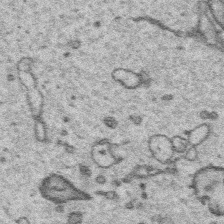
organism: Platynereis dumerilii